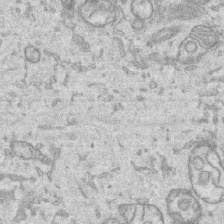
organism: Human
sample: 1205lu cells